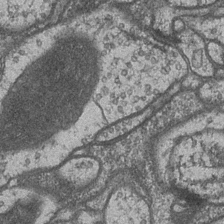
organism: Drosophila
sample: Optic medulla